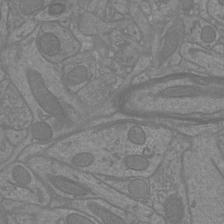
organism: Mouse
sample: Cortical neurons